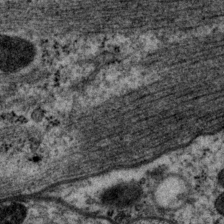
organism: P. pacificus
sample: Pharynx